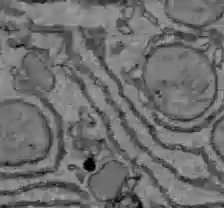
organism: C57BL Mouse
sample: Liver